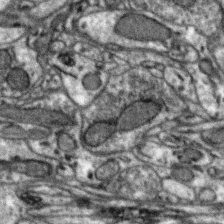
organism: Zebra finch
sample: Brain